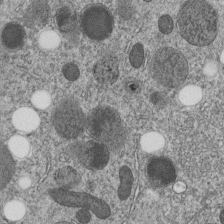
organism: C. elegans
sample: C. elegans embryo early stage